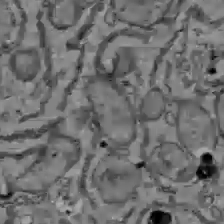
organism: C57BL Mouse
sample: Liver